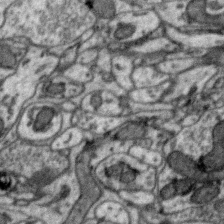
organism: Zebra finch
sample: Brain